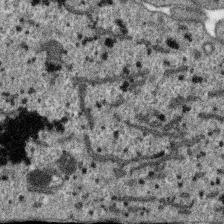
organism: Human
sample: Lung epithelial cells infected with SARS-CoV-2